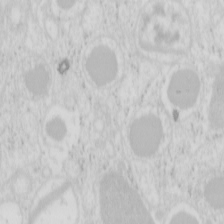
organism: Mouse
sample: Pancreas